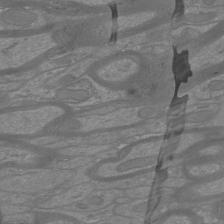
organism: Mouse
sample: Cortical neurons